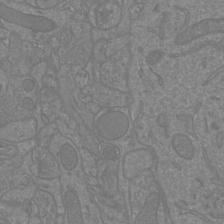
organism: Mouse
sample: Cortical neurons